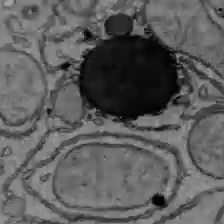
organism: C57BL Mouse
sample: Liver